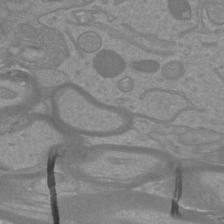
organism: Mouse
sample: Cortical neurons